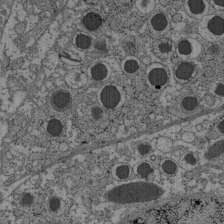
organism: C57BL Mouse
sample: Pancreatic islet